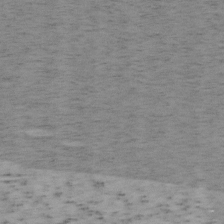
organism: Mouse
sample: OT-I killer T cells with ID8 ovarian cancer cells